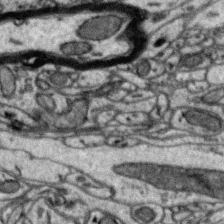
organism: Zebra finch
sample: Brain